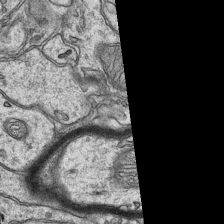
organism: Mouse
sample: CA1 Hippocampus